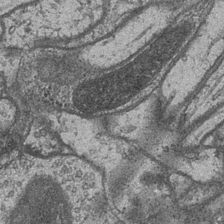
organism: Drosophila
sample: Optic medulla